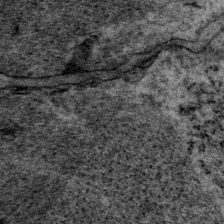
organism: P. pacificus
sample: Pharynx